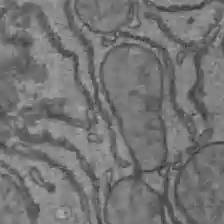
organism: C57BL Mouse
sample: Liver